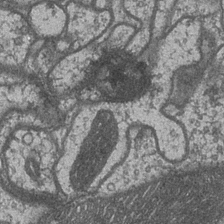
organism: Drosophila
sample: Optic medulla